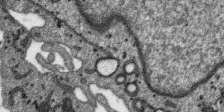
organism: Human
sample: Lung epithelial cells infected with SARS-CoV-2